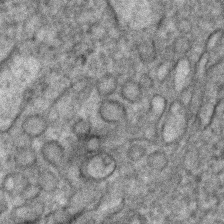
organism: Human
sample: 1205lu cells